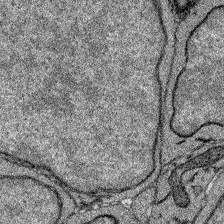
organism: Zebrafish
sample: Larval olfactory bulb